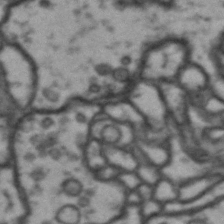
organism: Drosophila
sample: Brain